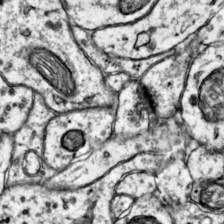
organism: Mouse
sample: Primary visual cortex